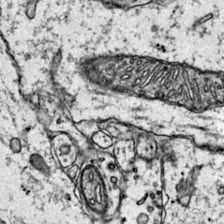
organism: Mouse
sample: Primary visual cortex